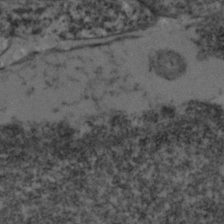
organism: Zebrafish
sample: Zebrafish embryo